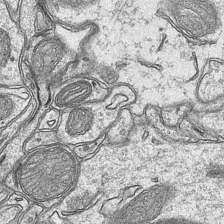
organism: Mouse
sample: CA1 Hippocampus